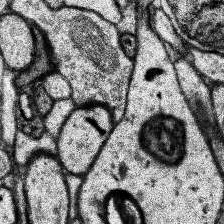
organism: Human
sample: Temporal Lobe